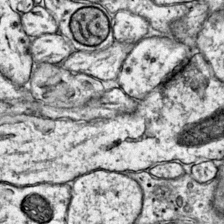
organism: Mouse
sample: Primary visual cortex